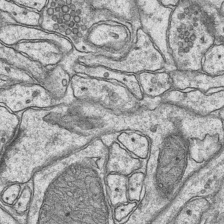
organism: Mouse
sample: CA1 Hippocampus